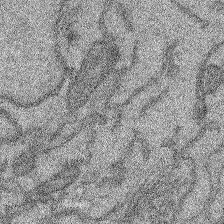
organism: Human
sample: HeLa cells